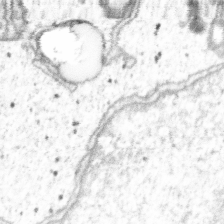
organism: Human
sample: HeLa cells